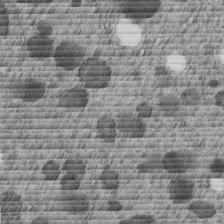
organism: C. elegans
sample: C. elegans embryo early stage